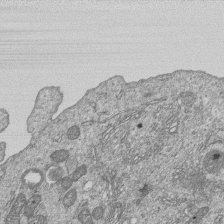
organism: Human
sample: MDA-MB-231 cells